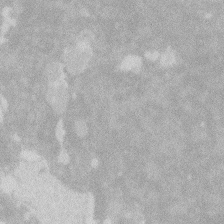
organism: Zebrafish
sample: Macrophage